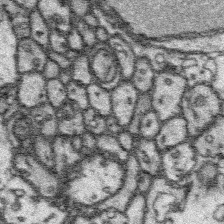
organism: Platynereis dumerilii